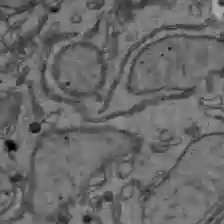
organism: C57BL Mouse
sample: Liver